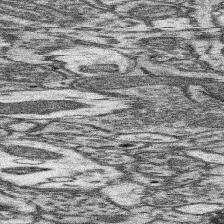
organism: Mouse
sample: Somatosensory cortex neuropil